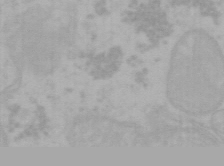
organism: Mouse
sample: Choroid plexus